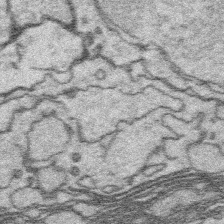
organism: Platynereis dumerilii